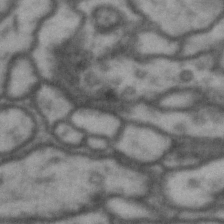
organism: Drosophila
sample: Brain